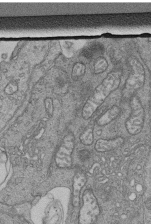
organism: Human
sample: Retinal organoid Rod and Cone cells